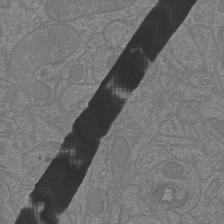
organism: Mouse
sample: Cortical neurons